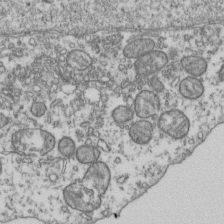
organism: Human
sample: Activated Jurkat CD4+ T cells